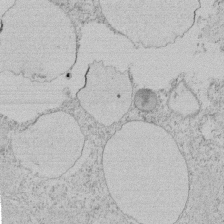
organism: Tetrahymena